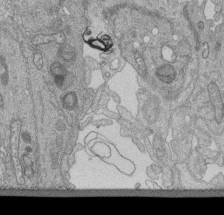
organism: Human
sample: Retinal organoid Rod and Cone cells